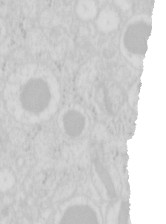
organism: Mouse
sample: Pancreas